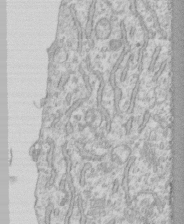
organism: Human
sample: CRL-1474